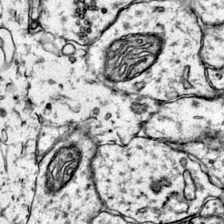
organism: Mouse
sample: Primary visual cortex